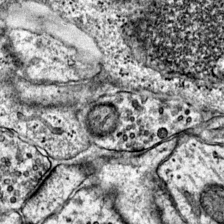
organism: Mouse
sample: Primary visual cortex